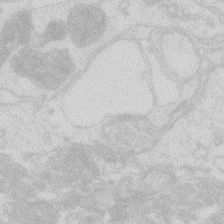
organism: Zebrafish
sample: Macrophage